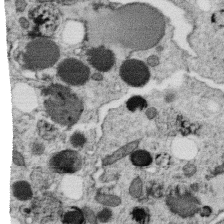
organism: C. elegans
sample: C. elegans oocyte; sperm cells